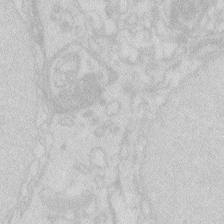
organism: Zebrafish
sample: Macrophage